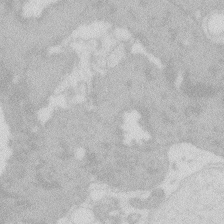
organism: Zebrafish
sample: Macrophage